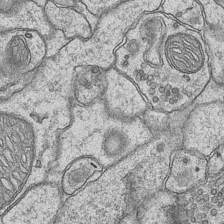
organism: Mouse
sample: CA1 Hippocampus